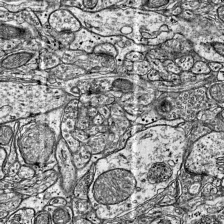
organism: Mouse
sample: Visual Cortex